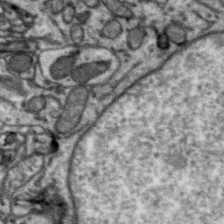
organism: Zebra finch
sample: Brain